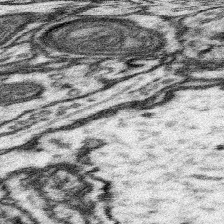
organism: Mouse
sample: Somatosensory cortex neuropil